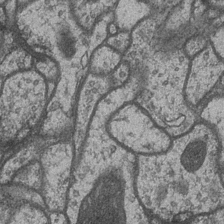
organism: Drosophila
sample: Optic medulla